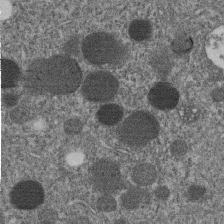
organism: C. elegans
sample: C. elegans embryo early stage